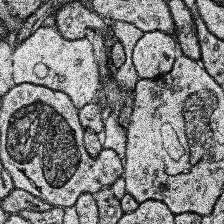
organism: Human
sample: Temporal Lobe